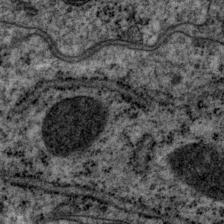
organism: P. pacificus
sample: Pharynx